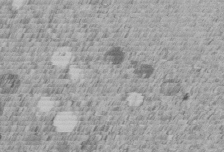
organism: C. elegans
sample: C. elegans embryo early stage